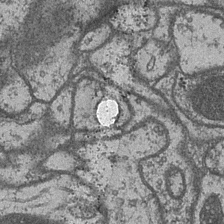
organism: Drosophila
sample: Optic medulla